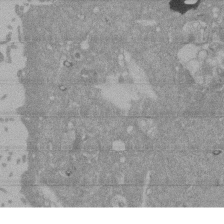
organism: Mouse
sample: ED-1 cell nuclei; centrioles